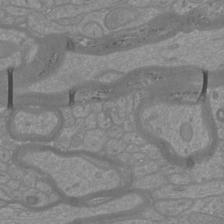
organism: Mouse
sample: Cortical neurons